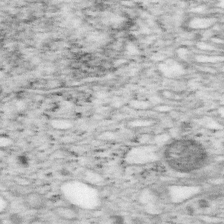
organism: Mouse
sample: OT-I killer T cells with ID8 ovarian cancer cells